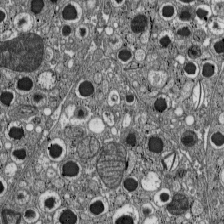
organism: C57BL Mouse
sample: Pancreatic islet